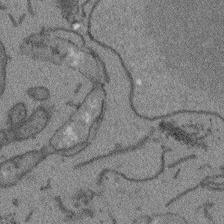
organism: Arabidopsis thaliana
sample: Root tip